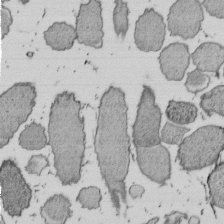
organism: E. coli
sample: Bacterial nucleoid